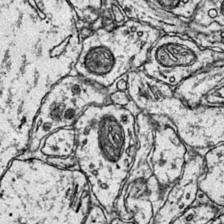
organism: Mouse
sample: Primary visual cortex